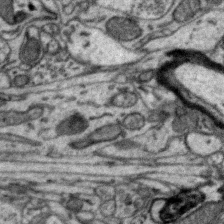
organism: Zebra finch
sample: Brain